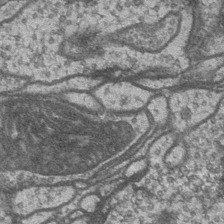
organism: Drosophila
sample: Optic medulla